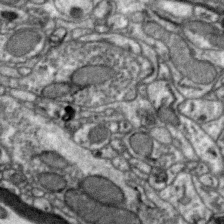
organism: Zebra finch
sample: Brain